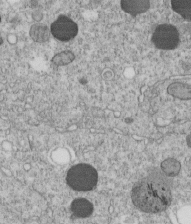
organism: C. elegans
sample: C. elegans embryo early stage